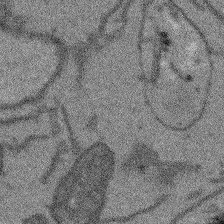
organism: Arabidopsis thaliana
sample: Root tip